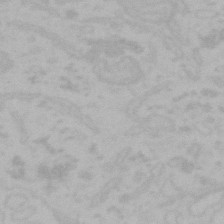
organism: Mouse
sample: Choroid plexus